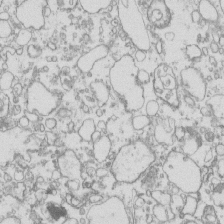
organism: Mouse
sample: Macrophages